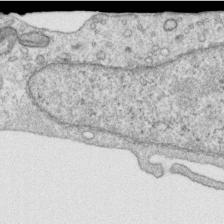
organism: Human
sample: Centriole in RPE cells